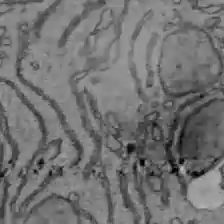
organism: C57BL Mouse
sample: Liver